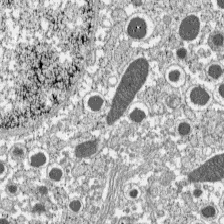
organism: C57BL Mouse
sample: Pancreatic islet